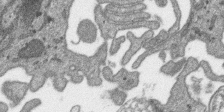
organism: Human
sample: Lung epithelial cells infected with SARS-CoV-2